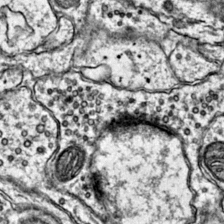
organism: Mouse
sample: Primary visual cortex